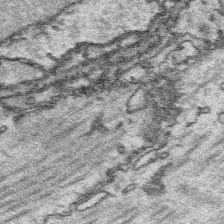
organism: Platynereis dumerilii